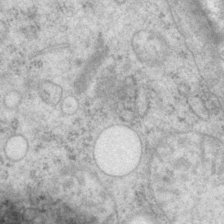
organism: P. pacificus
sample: Pharynx